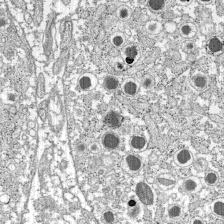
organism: C57BL Mouse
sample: Pancreatic islet